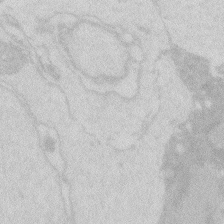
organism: Zebrafish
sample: Macrophage